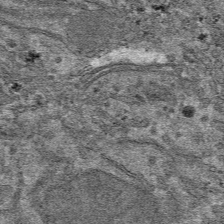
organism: Mouse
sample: Mouse hepatocytes